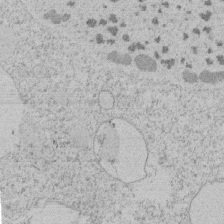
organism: Tetrahymena